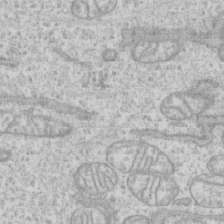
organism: Human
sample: CRL-1474